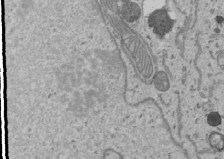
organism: Human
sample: Mitochondria in U2OS cells